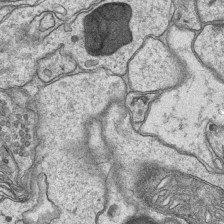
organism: Mouse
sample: CA1 Hippocampus